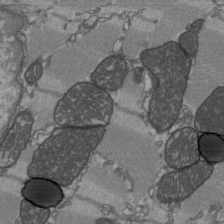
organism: C57BL Mouse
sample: Heart